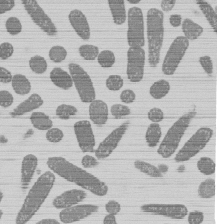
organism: E. coli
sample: Bacterial nucleoid